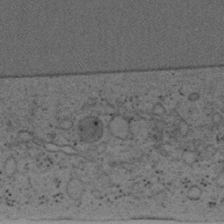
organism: Human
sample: HeLa cells